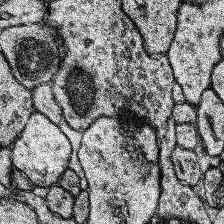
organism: Human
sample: Temporal Lobe